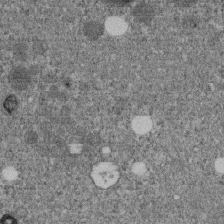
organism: C. elegans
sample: C. elegans embryo early stage